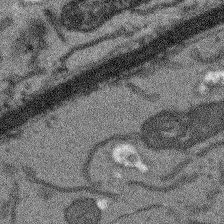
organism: Arabidopsis thaliana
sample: Root tip